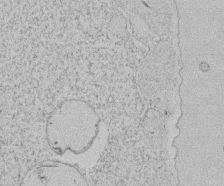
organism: Tetrahymena